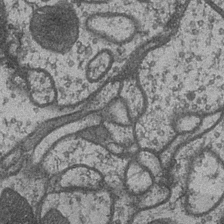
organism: Drosophila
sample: Optic medulla